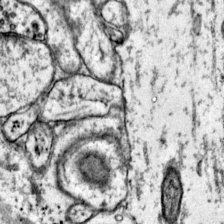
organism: Mouse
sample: Primary visual cortex